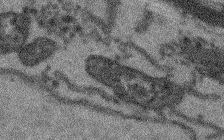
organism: Arabidopsis thaliana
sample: Root tip